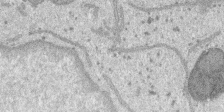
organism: Human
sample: Lung epithelial cells infected with SARS-CoV-2